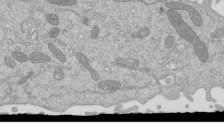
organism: Mouse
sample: ED-1 cell nuclei; centrioles